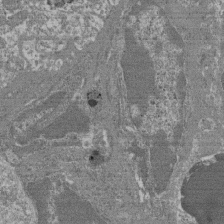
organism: Mouse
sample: Glomerulus